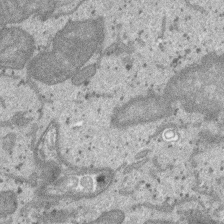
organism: Human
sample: Lung epithelial cells infected with SARS-CoV-2